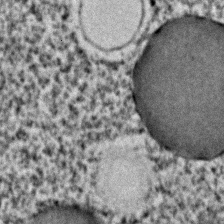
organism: C. elegans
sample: C. elegans embryo